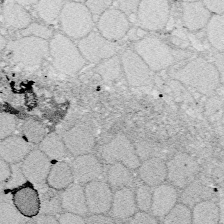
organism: Zebrafish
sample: Whole-Brain